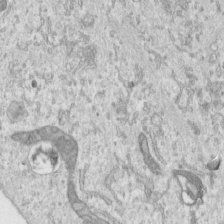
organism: Human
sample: Centriole in RPE cells